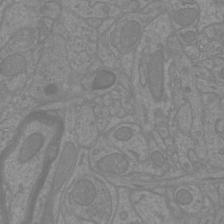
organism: Mouse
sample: Cortical neurons